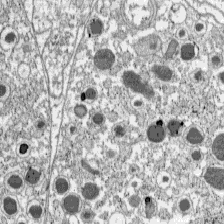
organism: C57BL Mouse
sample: Pancreatic islet